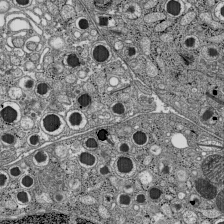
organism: C57BL Mouse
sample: Pancreatic islet